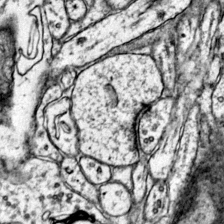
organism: Mouse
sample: Primary visual cortex